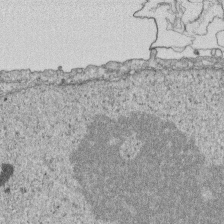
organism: Human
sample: HeLa cell HIV synapse